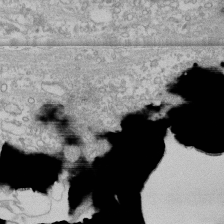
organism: Human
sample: CRL-1474